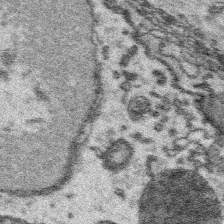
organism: Platynereis dumerilii